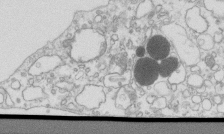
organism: Mouse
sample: Macrophages